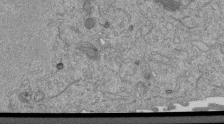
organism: Mouse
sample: ED-1 cell nuclei; centrioles